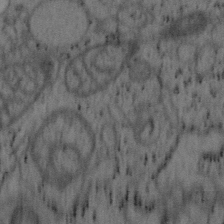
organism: Human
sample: HeLa cells